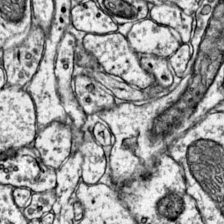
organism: Mouse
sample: Primary visual cortex